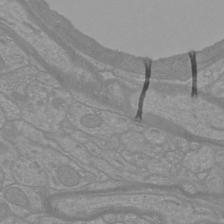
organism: Mouse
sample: Cortical neurons